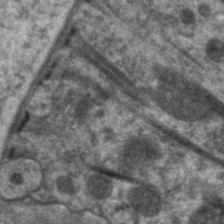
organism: C. elegans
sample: Pharynx